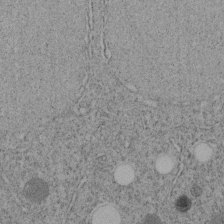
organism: C. elegans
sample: C. elegans embryo early stage